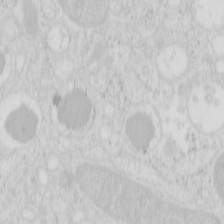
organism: Mouse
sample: Pancreas